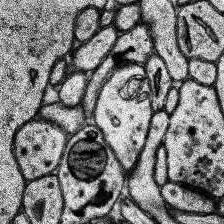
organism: Human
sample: Temporal Lobe